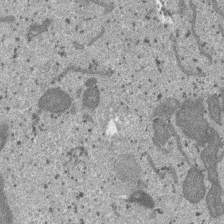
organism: Human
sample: Lung epithelial cells infected with SARS-CoV-2